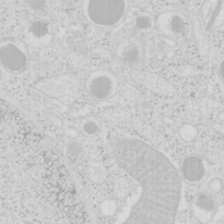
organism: Mouse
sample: Pancreas